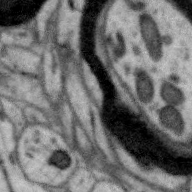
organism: Zebra finch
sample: Brain